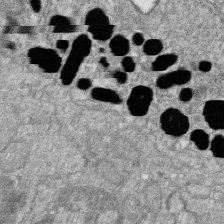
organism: Zebrafish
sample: Cilia; retinal pigment epithelium